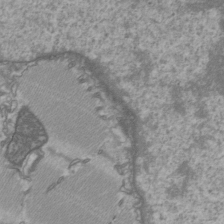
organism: C57BL Mouse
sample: Heart